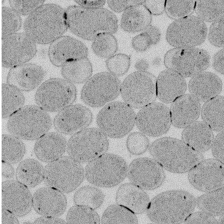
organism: E. coli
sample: Bacterial nucleoid